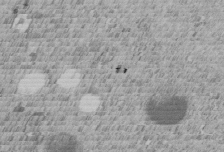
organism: C. elegans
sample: C. elegans embryo early stage